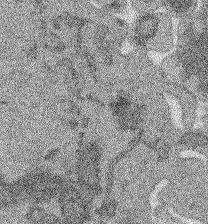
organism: Human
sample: HeLa cells